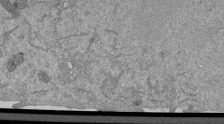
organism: Mouse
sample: ED-1 cell nuclei; centrioles